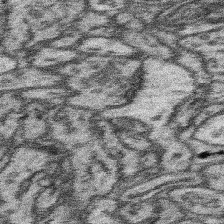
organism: Mouse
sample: Somatosensory cortex neuropil